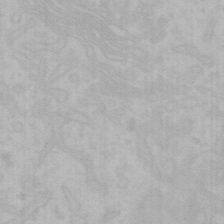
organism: Mouse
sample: Choroid plexus